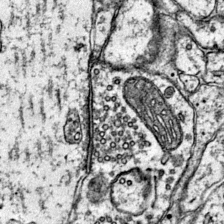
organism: Mouse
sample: Primary visual cortex